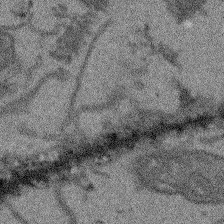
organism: Arabidopsis thaliana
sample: Root tip